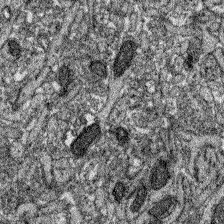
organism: Zebrafish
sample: Larval olfactory bulb